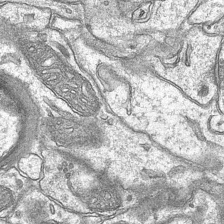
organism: Mouse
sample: CA1 Hippocampus